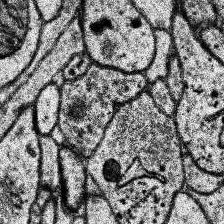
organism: Human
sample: Temporal Lobe